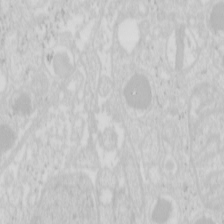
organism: Mouse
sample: Pancreas